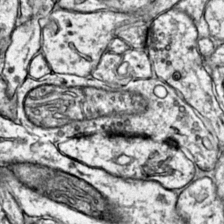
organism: Mouse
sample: Primary visual cortex